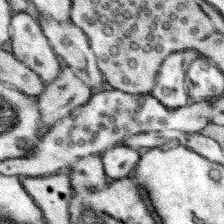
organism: Mouse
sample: Somatosensory cortex neuropil